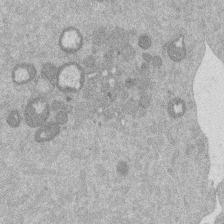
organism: Mouse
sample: Dividing mouse embryo 1 cell stage